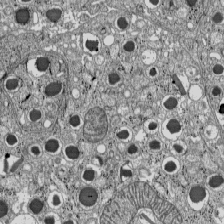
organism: C57BL Mouse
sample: Pancreatic islet